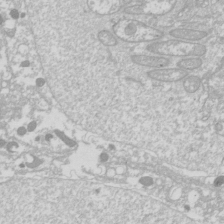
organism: Drosophila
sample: Cell division; meiosis; drosophila spermatocytes